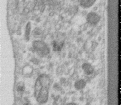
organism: Human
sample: Centriole in RPE cells